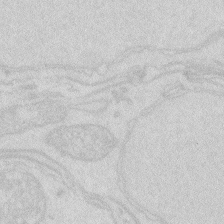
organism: Zebrafish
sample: Macrophage